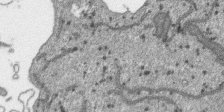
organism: Human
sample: Lung epithelial cells infected with SARS-CoV-2